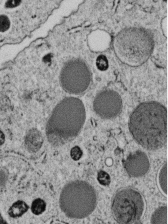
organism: C. elegans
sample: C. elegans embryo early stage